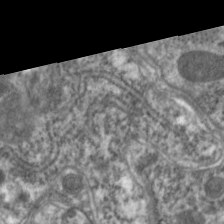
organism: C. elegans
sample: Pharynx